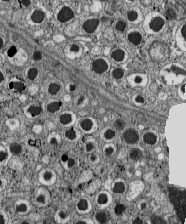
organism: C57BL Mouse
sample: Pancreatic islet